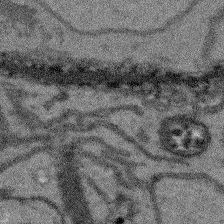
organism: Arabidopsis thaliana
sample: Root tip